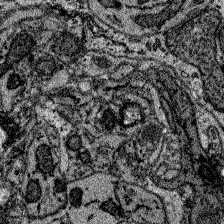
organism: Zebrafish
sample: Larval olfactory bulb